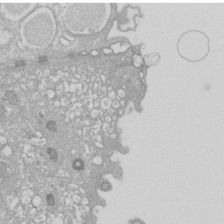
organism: Xenopus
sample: Cilia; centrioles in frog embryo cells